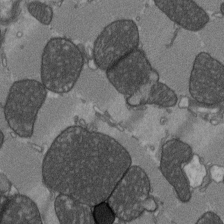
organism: C57BL Mouse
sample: Heart